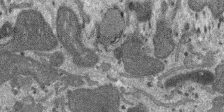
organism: Human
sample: Lung epithelial cells infected with SARS-CoV-2